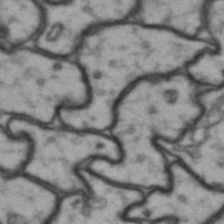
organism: Drosophila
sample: Brain